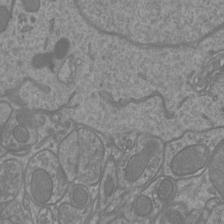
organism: Mouse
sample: Cortical neurons